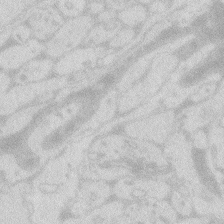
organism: Zebrafish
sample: Macrophage